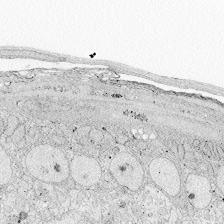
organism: Zebrafish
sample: Whole-Brain